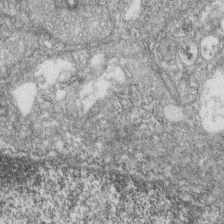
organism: Zebrafish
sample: Cilia; retinal pigment epithelium